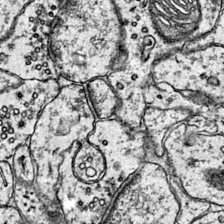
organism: Mouse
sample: Primary visual cortex